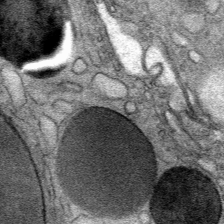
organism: Mouse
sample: Mouse Salivary gland